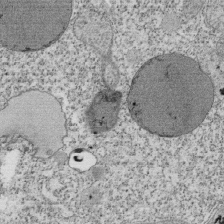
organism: Tetrahymena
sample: Cilia in tetrahymena